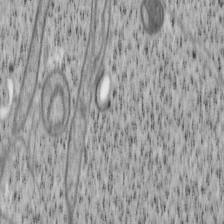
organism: Human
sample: HeLa cells